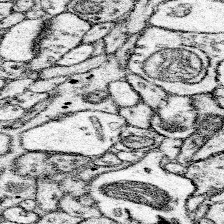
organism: Mouse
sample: Somatosensory cortex neuropil